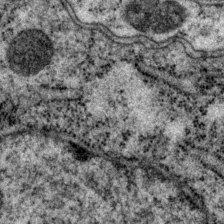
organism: P. pacificus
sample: Pharynx